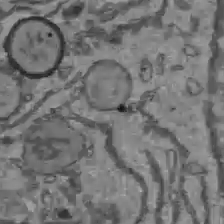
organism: C57BL Mouse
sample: Liver